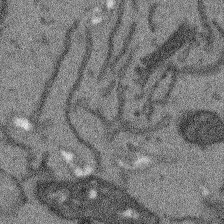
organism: Arabidopsis thaliana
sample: Root tip